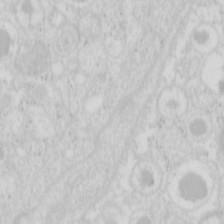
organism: Mouse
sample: Pancreas